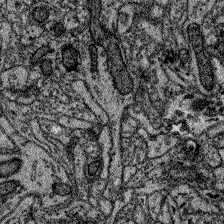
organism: Zebrafish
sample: Larval olfactory bulb